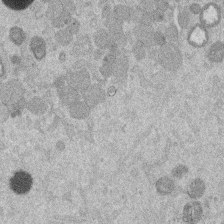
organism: Mouse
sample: Dividing mouse embryo 1 cell stage